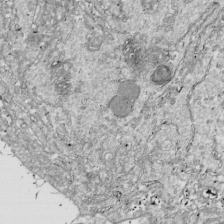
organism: Drosophila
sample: Cell division; meiosis; drosophila spermatocytes